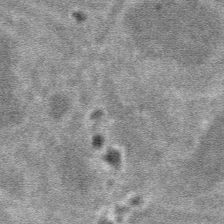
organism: Mouse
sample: Mouse hepatocytes